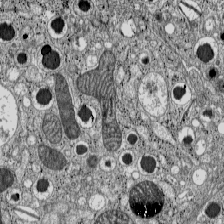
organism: C57BL Mouse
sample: Pancreatic islet